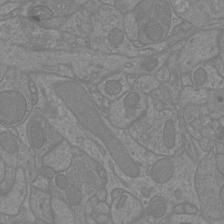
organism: Mouse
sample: Cortical neurons